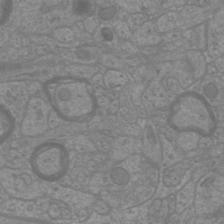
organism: Mouse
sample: Cortical neurons